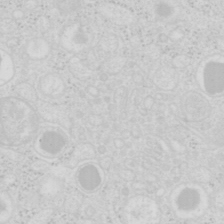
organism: Mouse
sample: Pancreas